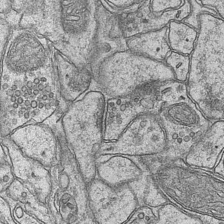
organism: Mouse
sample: CA1 Hippocampus